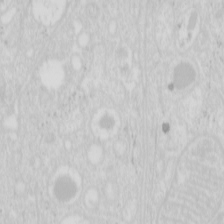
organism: Mouse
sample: Pancreas